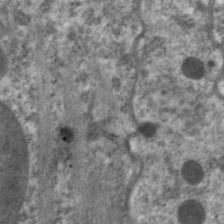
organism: C. elegans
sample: Pharynx